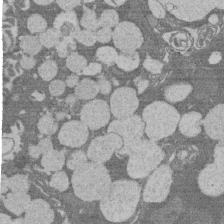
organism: Rat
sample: Salivary granule